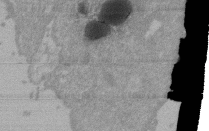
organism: Mouse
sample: ED-1 cell nuclei; centrioles